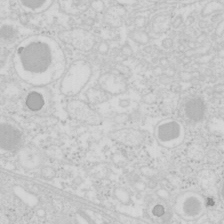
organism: Mouse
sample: Pancreas